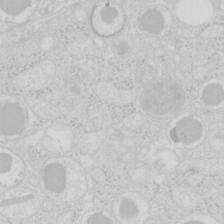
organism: Mouse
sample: Pancreas